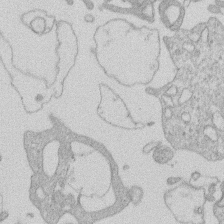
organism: Human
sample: Macrophage cells